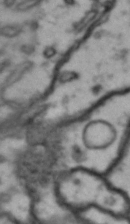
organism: Drosophila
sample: Brain